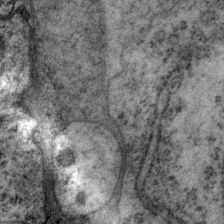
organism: P. pacificus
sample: Pharynx